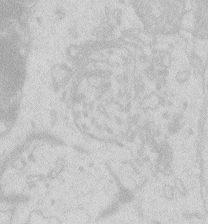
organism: Zebrafish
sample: Macrophage